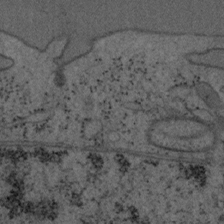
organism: Human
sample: HeLa cells